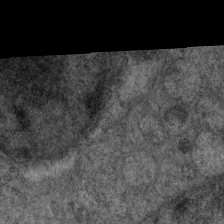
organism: C. elegans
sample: Pharynx